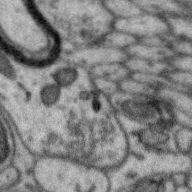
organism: Zebra finch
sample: Brain